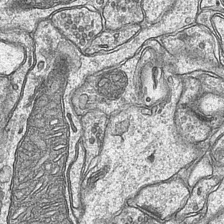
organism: Mouse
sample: CA1 Hippocampus